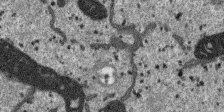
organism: Human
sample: Lung epithelial cells infected with SARS-CoV-2